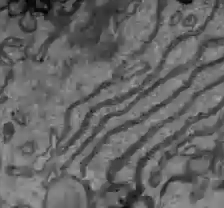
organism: C57BL Mouse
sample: Liver